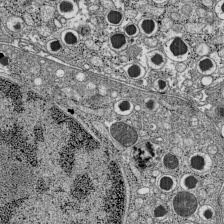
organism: C57BL Mouse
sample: Pancreatic islet